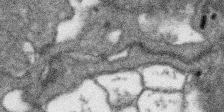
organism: Human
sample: Lung epithelial cells infected with SARS-CoV-2